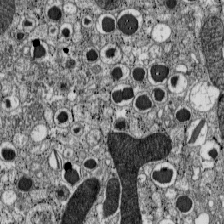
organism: C57BL Mouse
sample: Pancreatic islet